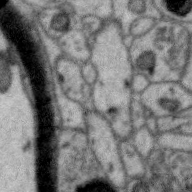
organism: Zebra finch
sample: Brain